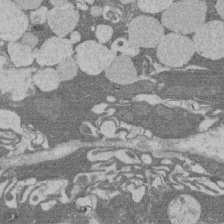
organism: Rat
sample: Salivary granule